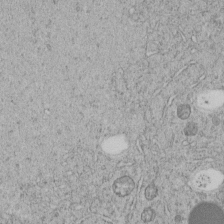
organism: C. elegans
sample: C. elegans embryo early stage